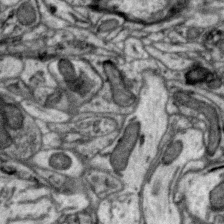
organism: Zebra finch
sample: Brain